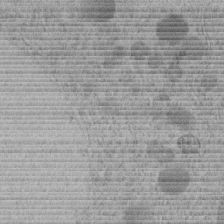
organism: C. elegans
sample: C. elegans embryo early stage